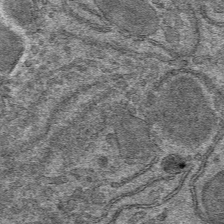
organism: Mouse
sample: Mouse hepatocytes